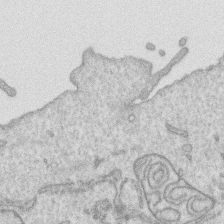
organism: Human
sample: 1205lu cells